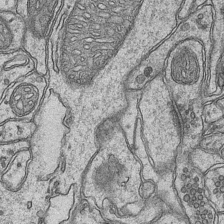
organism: Mouse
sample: CA1 Hippocampus